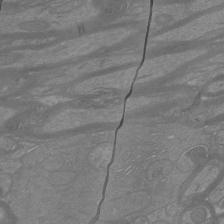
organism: Mouse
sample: Cortical neurons